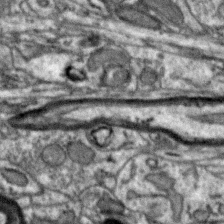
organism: Zebra finch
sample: Brain